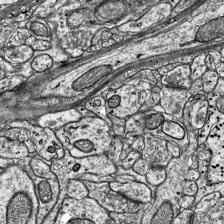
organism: Mouse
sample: Visual Cortex